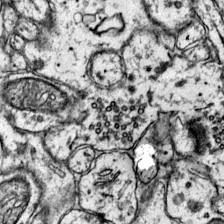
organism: Mouse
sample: Primary visual cortex